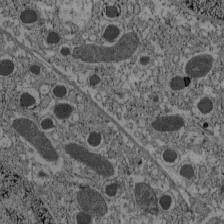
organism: C57BL Mouse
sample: Pancreatic islet